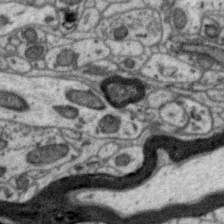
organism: Zebra finch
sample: Brain